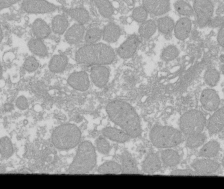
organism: Xenopus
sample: Cilia; centrioles in frog embryo cells